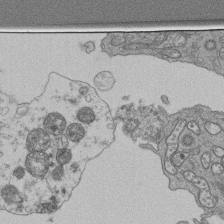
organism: Human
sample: Retinal organoid Rod and Cone cells